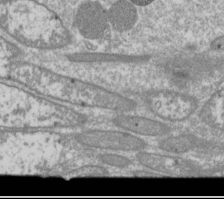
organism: Drosophila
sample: Cell division; meiosis; drosophila spermatocytes